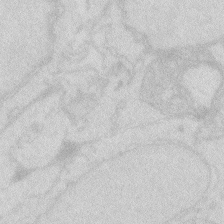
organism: Zebrafish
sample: Macrophage